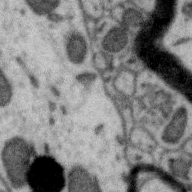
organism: Zebra finch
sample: Brain